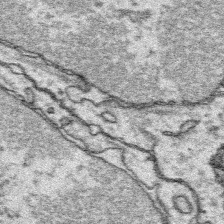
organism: Platynereis dumerilii